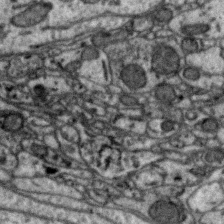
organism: Zebra finch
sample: Brain